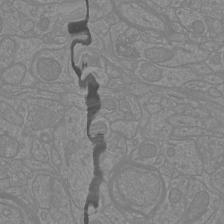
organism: Mouse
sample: Cortical neurons